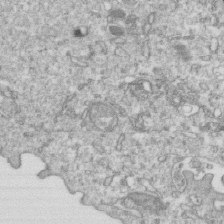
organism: Mouse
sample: Activated OT-1 CD8+ T cells